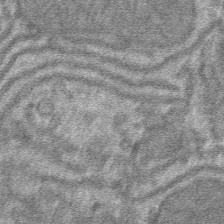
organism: Mouse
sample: Mouse hepatocytes